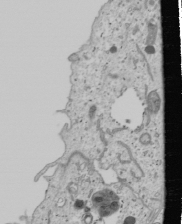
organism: Human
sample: Mitochondria in U2OS cells